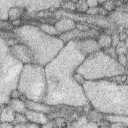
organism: Rabbit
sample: Retina